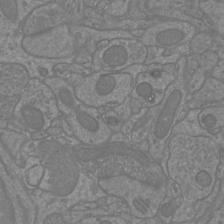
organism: Mouse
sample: Cortical neurons